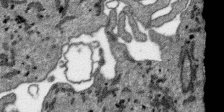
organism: Human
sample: Lung epithelial cells, uninfected (mock) control